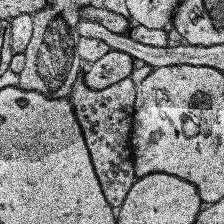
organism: Human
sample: Temporal Lobe